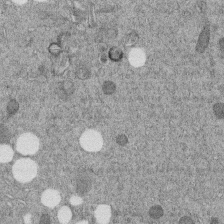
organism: C. elegans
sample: C. elegans embryo early stage